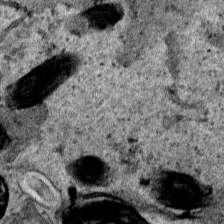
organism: Human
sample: Mitochondria in HCT116 cells